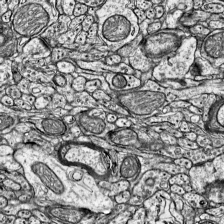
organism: Mouse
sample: Visual Cortex